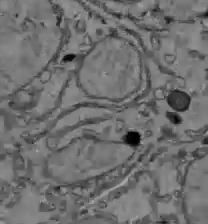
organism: C57BL Mouse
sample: Liver